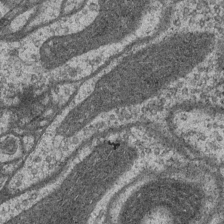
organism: Drosophila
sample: Optic medulla